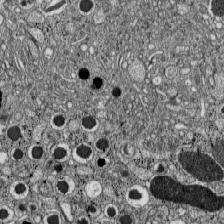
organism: C57BL Mouse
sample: Pancreatic islet